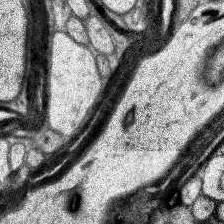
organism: Human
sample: Temporal Lobe